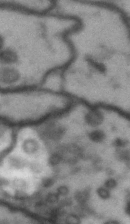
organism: Drosophila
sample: Brain